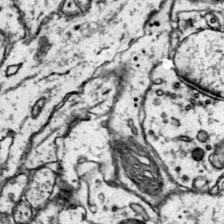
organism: Mouse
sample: Primary visual cortex